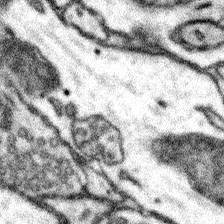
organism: Mouse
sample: Somatosensory cortex neuropil